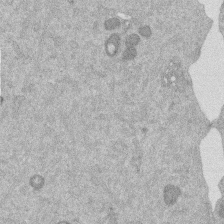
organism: Mouse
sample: Dividing mouse embryo 1 cell stage